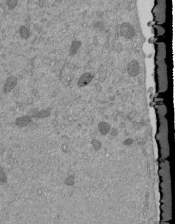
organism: Mouse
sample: ED-1 cell nuclei; centrioles